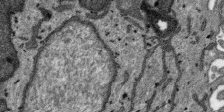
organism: Human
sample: Lung epithelial cells, uninfected (mock) control